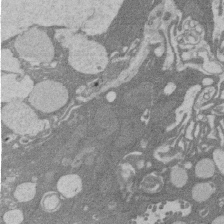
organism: Rat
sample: Salivary granule